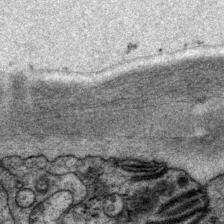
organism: P. pacificus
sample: Pharynx